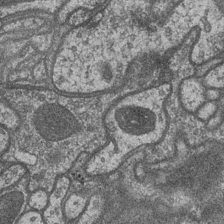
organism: Drosophila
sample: Optic medulla